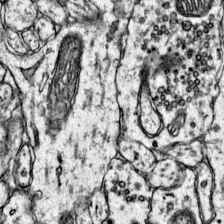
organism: Mouse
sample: Primary visual cortex